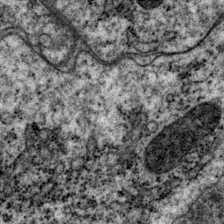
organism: P. pacificus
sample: Pharynx